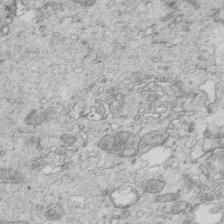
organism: Mouse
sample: Multiciliated cells